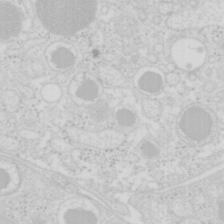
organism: Mouse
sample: Pancreas